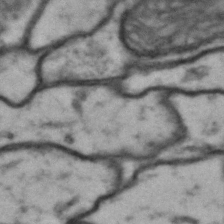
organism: Drosophila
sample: Brain